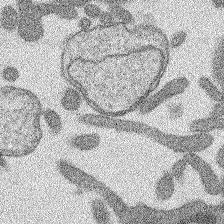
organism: Human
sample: HeLa cells